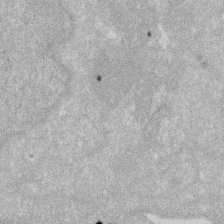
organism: Human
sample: HIV infected U937 cells